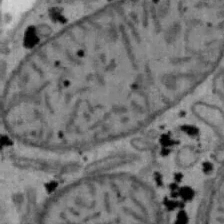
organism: Mouse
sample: Liver